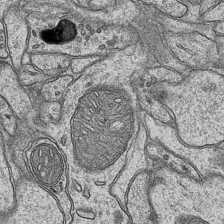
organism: Mouse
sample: CA1 Hippocampus